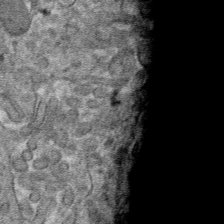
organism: Mouse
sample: Mouse hepatocytes